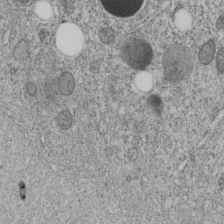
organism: C. elegans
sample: C. elegans embryo early stage